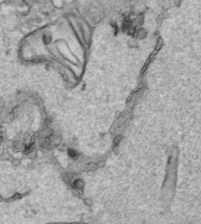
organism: Human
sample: Mitochondria in HCT116 cells